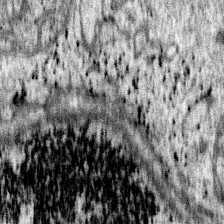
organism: Human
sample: HeLa cells